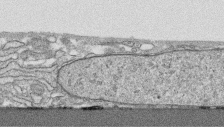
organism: Human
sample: CRL-1474